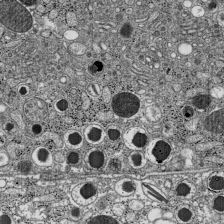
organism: C57BL Mouse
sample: Pancreatic islet